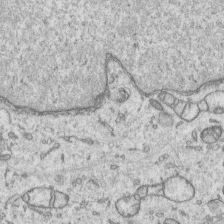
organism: Human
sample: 1205lu cells